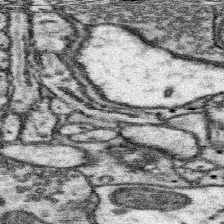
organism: Mouse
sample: Somatosensory cortex neuropil